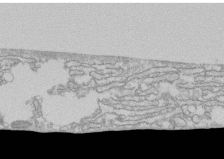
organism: Human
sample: CRL-1474